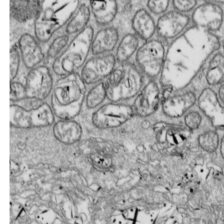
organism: Drosophila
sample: Cell division; meiosis; drosophila spermatocytes